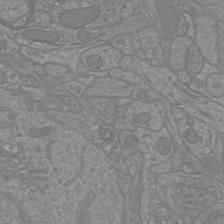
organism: Mouse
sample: Cortical neurons